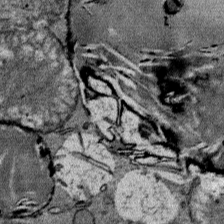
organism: Mouse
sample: Mouse Salivary gland